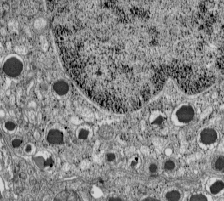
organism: C57BL Mouse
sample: Pancreatic islet